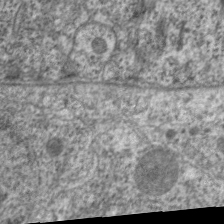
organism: C. elegans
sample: Pharynx